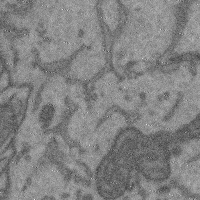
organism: Mouse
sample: Cerebral cortex